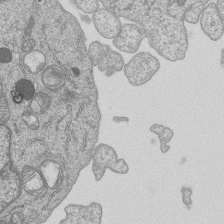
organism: Human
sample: MDA-MB-231 cells